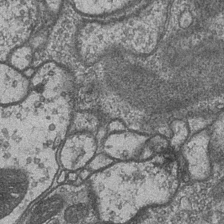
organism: Drosophila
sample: Optic medulla